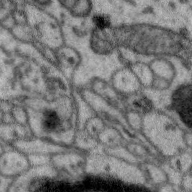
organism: Zebra finch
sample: Brain